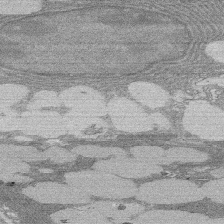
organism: Rat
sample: Salivary granule